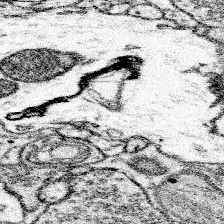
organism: Mouse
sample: Somatosensory cortex neuropil